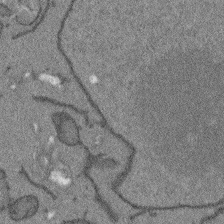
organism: Arabidopsis thaliana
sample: Root tip